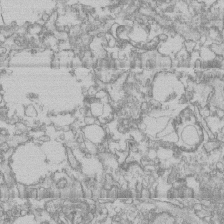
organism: Human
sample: CRL-1474